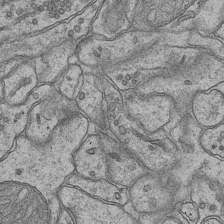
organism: Mouse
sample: CA1 Hippocampus